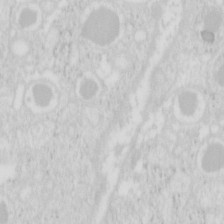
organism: Mouse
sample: Pancreas